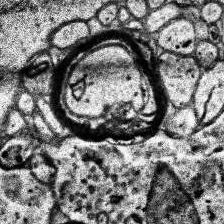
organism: Human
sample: Temporal Lobe